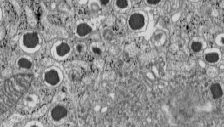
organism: C57BL Mouse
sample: Pancreatic islet